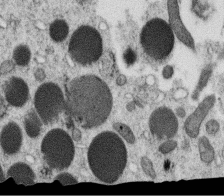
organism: C. elegans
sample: C. elegans oocyte; sperm cells